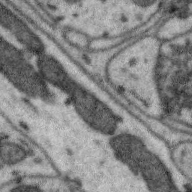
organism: Zebra finch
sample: Brain